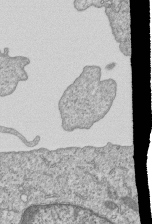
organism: Human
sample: MDA-MB-231 cells